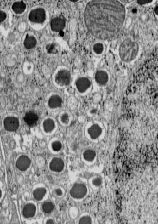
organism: C57BL Mouse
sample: Pancreatic islet